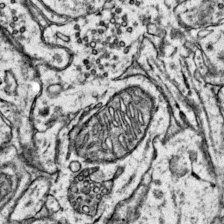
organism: Mouse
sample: Primary visual cortex